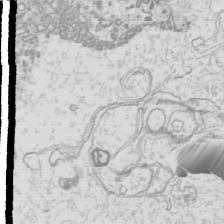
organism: Mouse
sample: Cilia; mouse epididymis